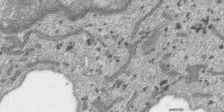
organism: Human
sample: Lung epithelial cells infected with SARS-CoV-2